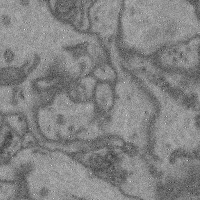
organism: Mouse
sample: Cerebral cortex